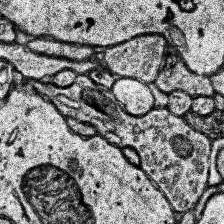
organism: Human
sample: Temporal Lobe